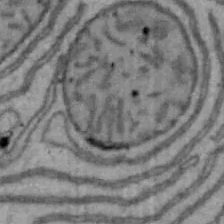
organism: Mouse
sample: Liver